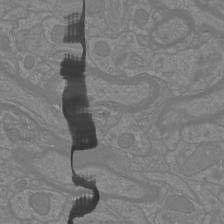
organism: Mouse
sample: Cortical neurons